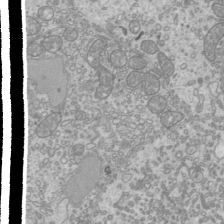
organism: Mouse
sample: Cilia; mouse epididymis